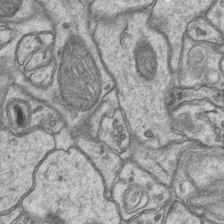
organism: Mouse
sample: CA1 Hippocampus